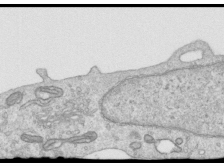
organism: Human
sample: Centriole in RPE cells